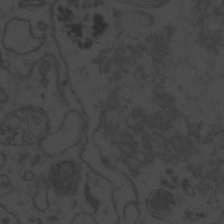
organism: Zebrafish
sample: Macrophage infected with Toxoplasma gondii